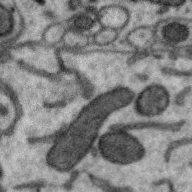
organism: Zebra finch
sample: Brain